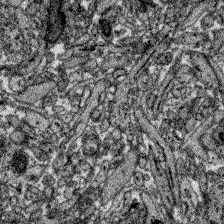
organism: Zebrafish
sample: Larval olfactory bulb